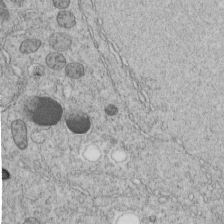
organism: C. elegans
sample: C. elegans embryo early stage